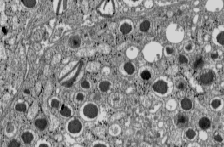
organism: C57BL Mouse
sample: Pancreatic islet